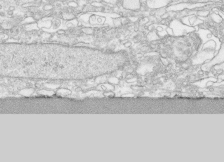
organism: Human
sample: CRL-1474